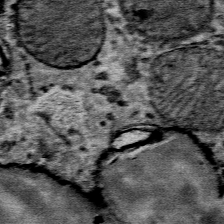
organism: Mouse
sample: Mouse Salivary gland